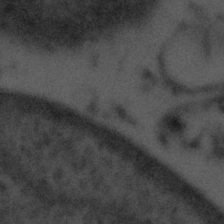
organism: Tuwongella immobilis